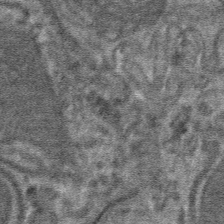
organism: Mouse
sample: Mouse hepatocytes